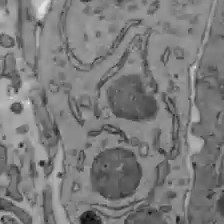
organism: C57BL Mouse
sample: Liver